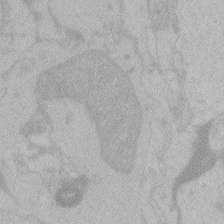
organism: Zebrafish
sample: Macrophage infected with Toxoplasma gondii